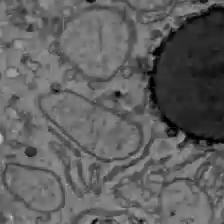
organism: C57BL Mouse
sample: Liver